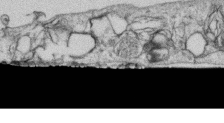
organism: Human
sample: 1205lu cells